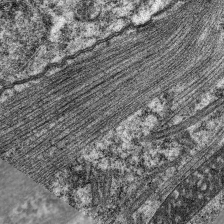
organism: C. elegans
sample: Pharynx